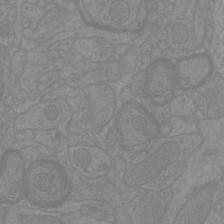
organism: Mouse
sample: Cortical neurons